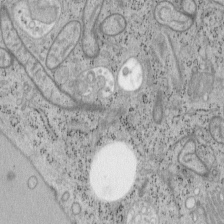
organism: Mouse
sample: OT-I killer T cells with ID8 ovarian cancer cells